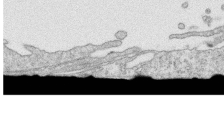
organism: Human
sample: HeLa cell HIV synapse